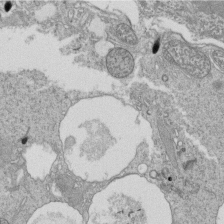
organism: Tetrahymena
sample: Cilia in tetrahymena